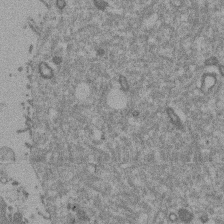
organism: Mouse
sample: Dividing mouse embryo 1 cell stage